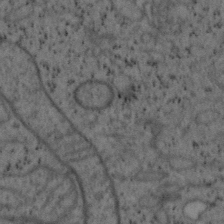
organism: Human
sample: HeLa cells